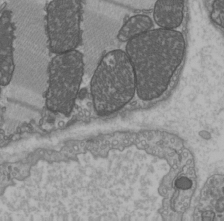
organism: C57BL Mouse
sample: Heart